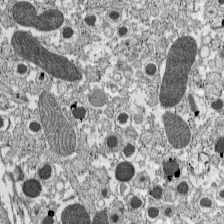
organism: C57BL Mouse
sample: Pancreatic islet